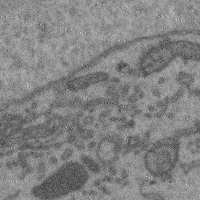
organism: Mouse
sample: Cerebral cortex